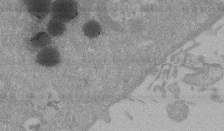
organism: Mouse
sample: ED-1 cell nuclei; centrioles